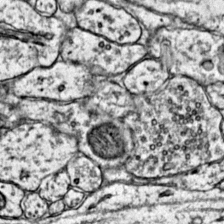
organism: Mouse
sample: Primary visual cortex